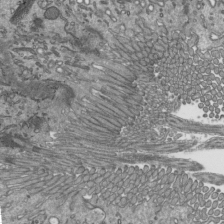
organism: Mouse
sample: Mouse epididymis efferent ductule cilia